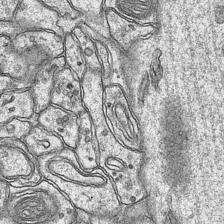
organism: Mouse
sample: CA1 Hippocampus